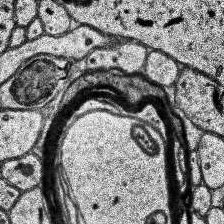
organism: Human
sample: Temporal Lobe